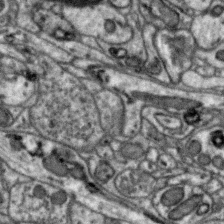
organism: Zebra finch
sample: Brain